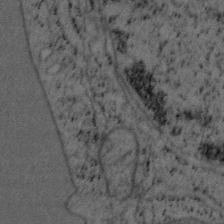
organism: Human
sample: HeLa cells